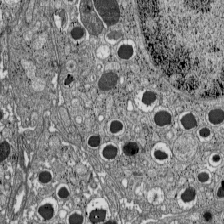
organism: C57BL Mouse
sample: Pancreatic islet